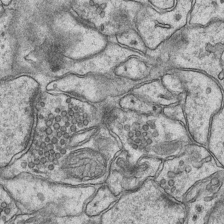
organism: Mouse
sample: CA1 Hippocampus